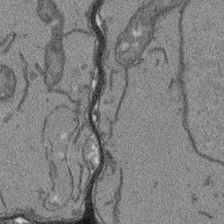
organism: Arabidopsis thaliana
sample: Root tip